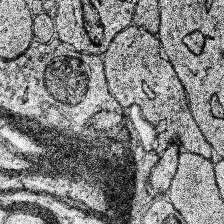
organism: Human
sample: Temporal Lobe